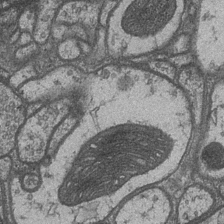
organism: Drosophila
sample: Optic medulla